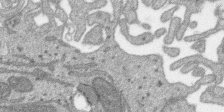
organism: Human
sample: Lung epithelial cells infected with SARS-CoV-2